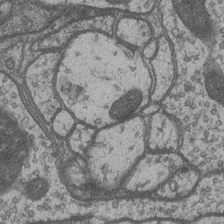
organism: Drosophila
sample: Optic medulla